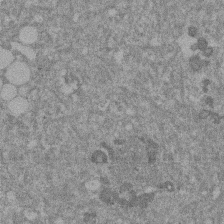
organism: Mouse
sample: Dividing mouse embryo 1 cell stage